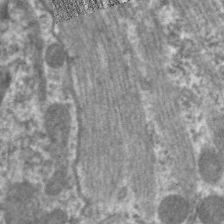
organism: C. elegans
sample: Pharynx